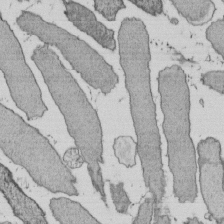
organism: E. coli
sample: Bacterial nucleoid